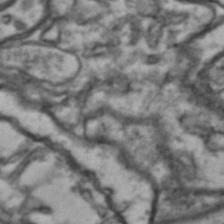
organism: Drosophila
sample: Brain